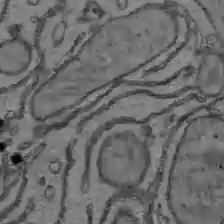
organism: C57BL Mouse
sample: Liver